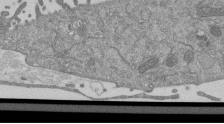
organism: Mouse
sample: ED-1 cell nuclei; centrioles